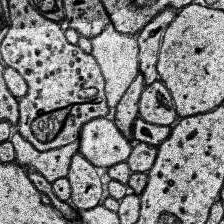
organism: Human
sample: Temporal Lobe